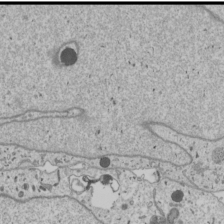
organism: Human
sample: Mitochondria in U2OS cells